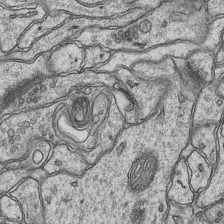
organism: Mouse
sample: CA1 Hippocampus